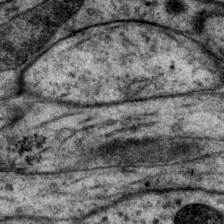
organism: P. pacificus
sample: Pharynx